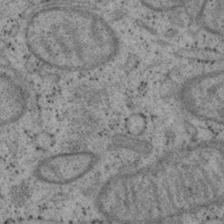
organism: Human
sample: HeLa cells